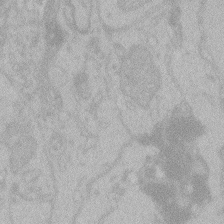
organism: Zebrafish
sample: Macrophage infected with Toxoplasma gondii